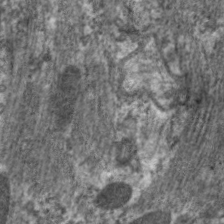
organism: C. elegans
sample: Pharynx